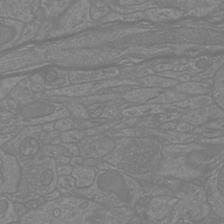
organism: Mouse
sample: Cortical neurons